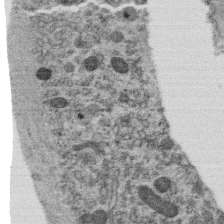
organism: C. elegans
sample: C. elegans oocyte; sperm cells